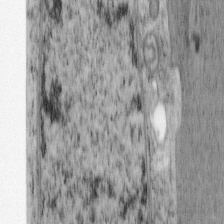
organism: Human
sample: HeLa cells